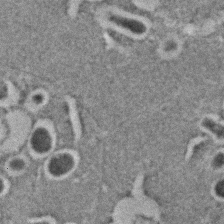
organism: C. elegans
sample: C. elegans embryo